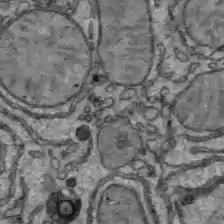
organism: C57BL Mouse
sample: Liver